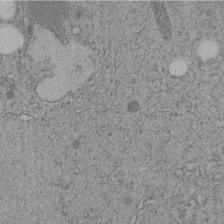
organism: C. elegans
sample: C. elegans embryo early stage